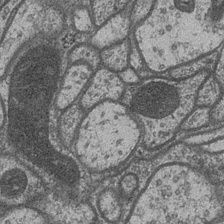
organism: Drosophila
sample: Optic medulla